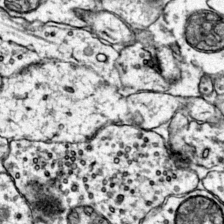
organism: Mouse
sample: Primary visual cortex